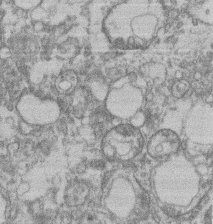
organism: Mouse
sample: T cell stromal cell synapse